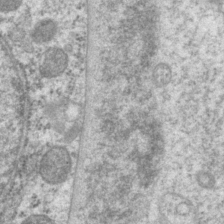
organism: P. pacificus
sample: Pharynx